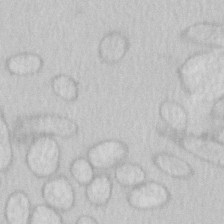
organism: Human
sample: HeLa cells